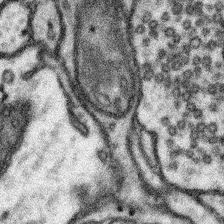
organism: Mouse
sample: Somatosensory cortex neuropil